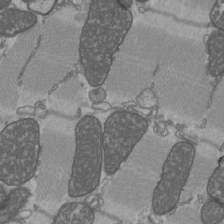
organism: C57BL Mouse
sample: Heart